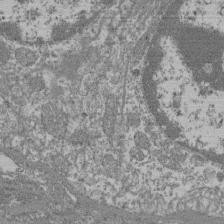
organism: Mouse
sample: Glomerulus